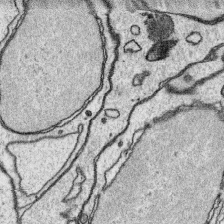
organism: Platynereis dumerilii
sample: Parapodia